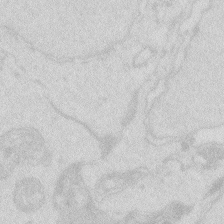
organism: Zebrafish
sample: Macrophage